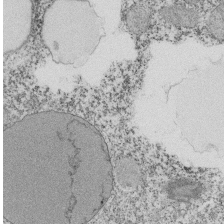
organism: Tetrahymena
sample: Cilia in tetrahymena